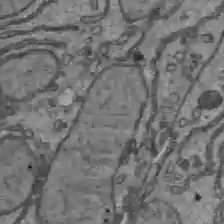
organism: C57BL Mouse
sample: Liver